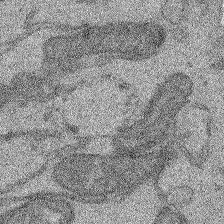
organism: Human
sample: HeLa cells